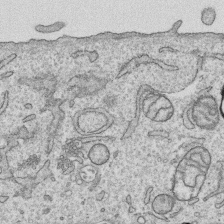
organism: Human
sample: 1205lu cells